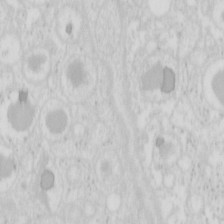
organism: Mouse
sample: Pancreas